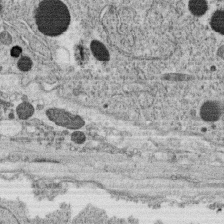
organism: C. elegans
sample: C. elegans oocyte; sperm cells